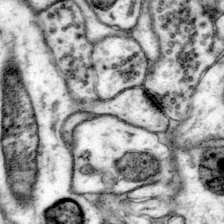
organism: Mouse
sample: Primary visual cortex